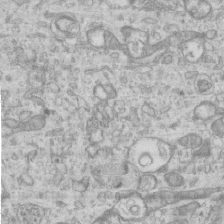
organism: Mouse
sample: Centriole in ependymal cells